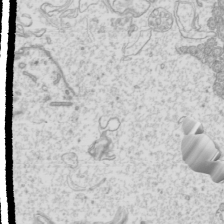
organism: Mouse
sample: Cilia; mouse epididymis